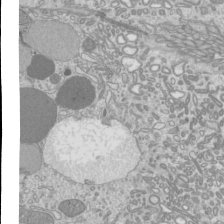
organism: Mouse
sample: Cilia; mouse epididymis